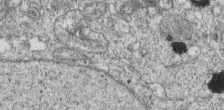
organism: Human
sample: HeLa cell HIV synapse